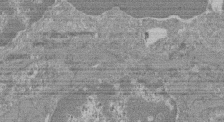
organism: Mouse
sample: Glomerulus